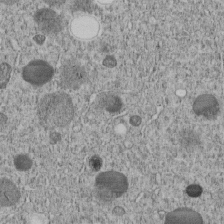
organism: C. elegans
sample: C. elegans embryo early stage